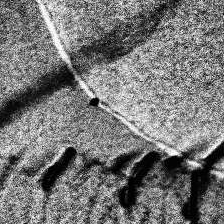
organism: Human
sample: Temporal Lobe